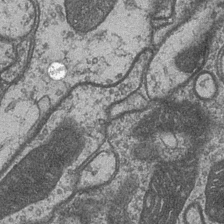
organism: Drosophila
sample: Optic medulla